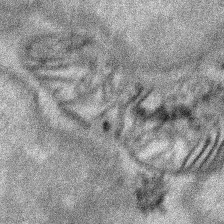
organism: Human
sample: Mitochondria in HCT116 cells